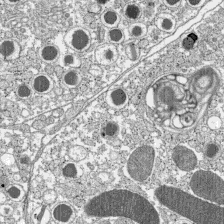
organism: C57BL Mouse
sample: Pancreatic islet